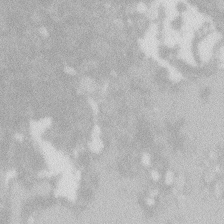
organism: Zebrafish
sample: Macrophage